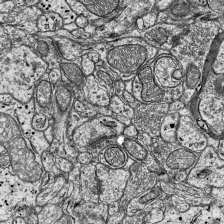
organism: Mouse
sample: Visual Cortex